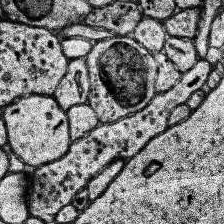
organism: Human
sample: Temporal Lobe